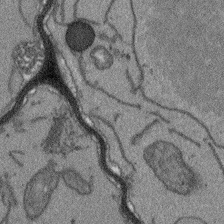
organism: Arabidopsis thaliana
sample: Root tip